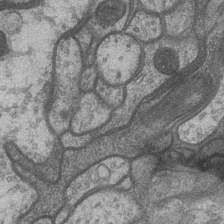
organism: Drosophila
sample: Optic medulla